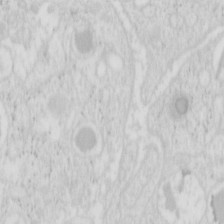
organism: Mouse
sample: Pancreas